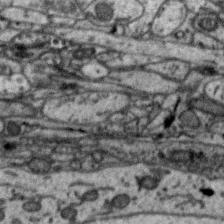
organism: Zebra finch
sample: Brain